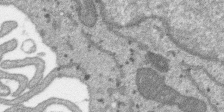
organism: Human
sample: Lung epithelial cells infected with SARS-CoV-2